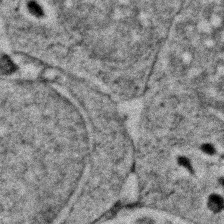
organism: Zebrafish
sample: Zebrafish embryo